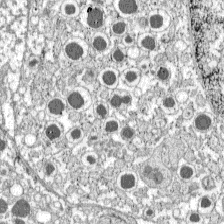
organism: C57BL Mouse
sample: Pancreatic islet